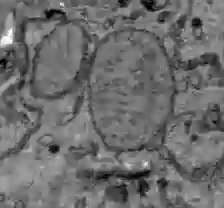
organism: C57BL Mouse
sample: Liver